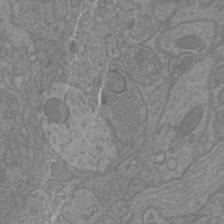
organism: Mouse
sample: Cortical neurons